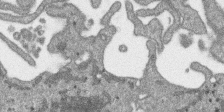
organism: Human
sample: Lung epithelial cells infected with SARS-CoV-2